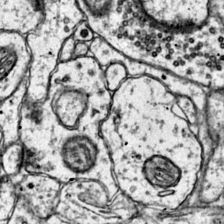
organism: Mouse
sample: Primary visual cortex